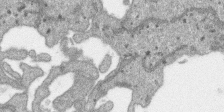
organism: Human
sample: Lung epithelial cells infected with SARS-CoV-2